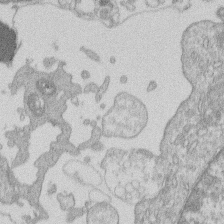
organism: Human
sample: Macrophage cells